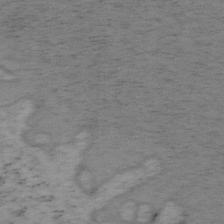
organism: Mouse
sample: OT-I killer T cells with ID8 ovarian cancer cells